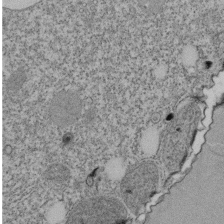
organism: Tetrahymena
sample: Cilia in tetrahymena